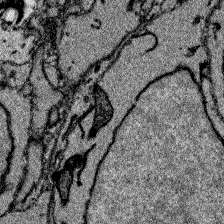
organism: Zebrafish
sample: Larval olfactory bulb